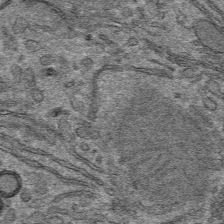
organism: Mouse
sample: Mouse hepatocytes